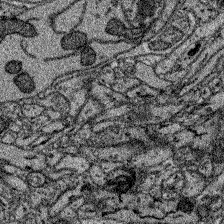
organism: Zebrafish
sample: Larval olfactory bulb